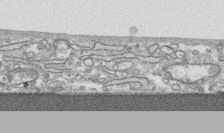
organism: Human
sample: CRL-1474